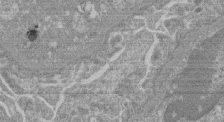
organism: Mouse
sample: Glomerulus